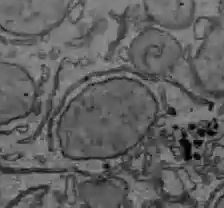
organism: C57BL Mouse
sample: Liver